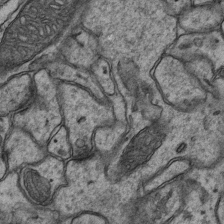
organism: Mouse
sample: CA1 Hippocampus